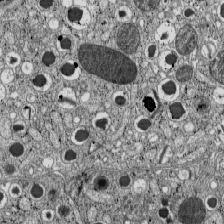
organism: C57BL Mouse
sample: Pancreatic islet